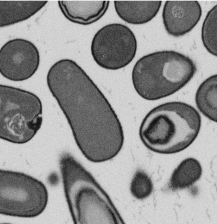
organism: B. subtilis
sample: Bacterial spore